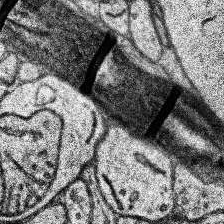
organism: Human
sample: Temporal Lobe